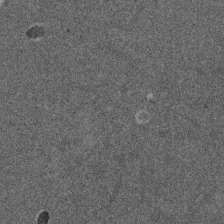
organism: Mouse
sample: Dividing mouse embryo 1 cell stage